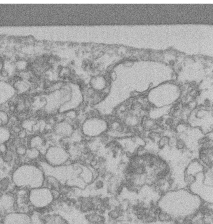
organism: Mouse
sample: T cell stromal cell synapse